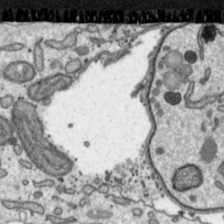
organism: Toxoplasma gondii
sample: Parasites in a vacuole inside a host cell